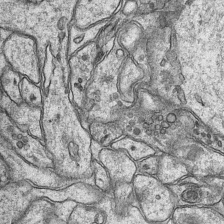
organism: Mouse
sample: CA1 Hippocampus